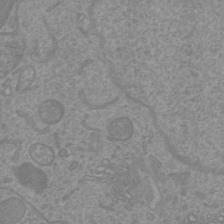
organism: Mouse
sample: Cortical neurons